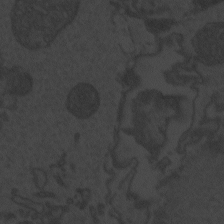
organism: Zebrafish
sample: Macrophage infected with Toxoplasma gondii